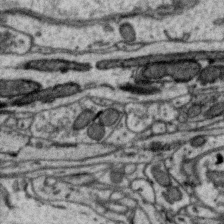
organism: Zebra finch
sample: Brain